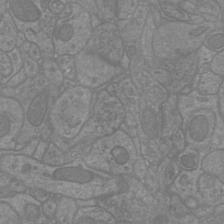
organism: Mouse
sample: Cortical neurons